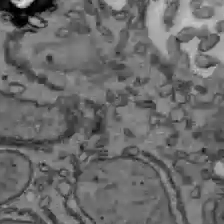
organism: C57BL Mouse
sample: Liver